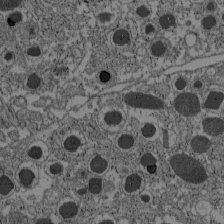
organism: C57BL Mouse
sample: Pancreatic islet